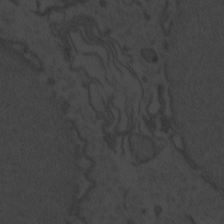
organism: Zebrafish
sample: Macrophage infected with Toxoplasma gondii